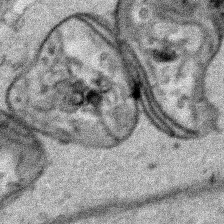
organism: Human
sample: Mitochondria in HCT116 cells